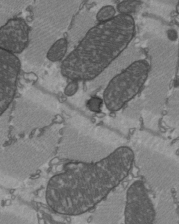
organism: C57BL Mouse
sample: Heart